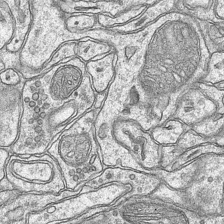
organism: Mouse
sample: CA1 Hippocampus